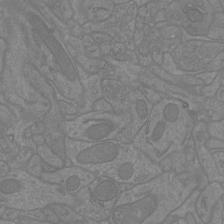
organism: Mouse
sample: Cortical neurons